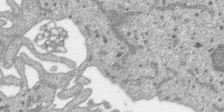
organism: Human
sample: Lung epithelial cells infected with SARS-CoV-2